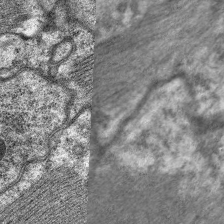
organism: C. elegans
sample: Pharynx